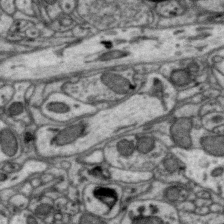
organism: Zebra finch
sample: Brain